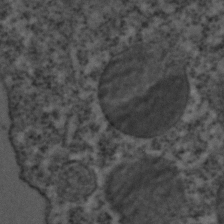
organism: C. elegans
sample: C. elegans embryo